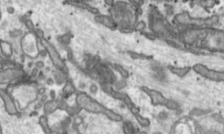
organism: Toxoplasma gondii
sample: Parasites in a vacuole inside a host cell